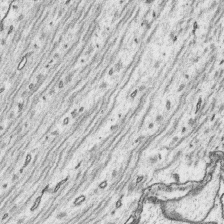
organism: Platynereis dumerilii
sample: Parapodia